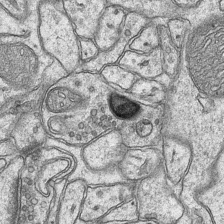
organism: Mouse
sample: CA1 Hippocampus